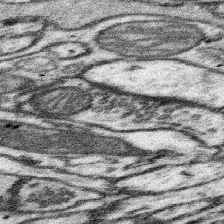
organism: Mouse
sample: Somatosensory cortex neuropil